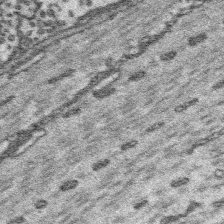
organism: Platynereis dumerilii